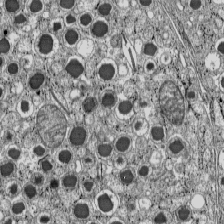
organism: C57BL Mouse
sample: Pancreatic islet